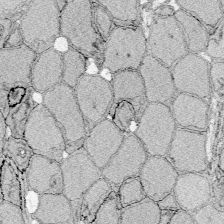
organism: Zebrafish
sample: Whole-Brain